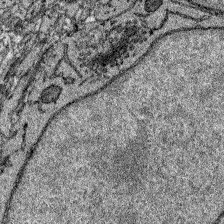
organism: Zebrafish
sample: Larval olfactory bulb